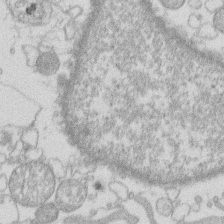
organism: Human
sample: Macrophage cells